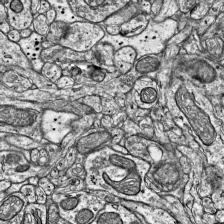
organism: Mouse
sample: Visual Cortex